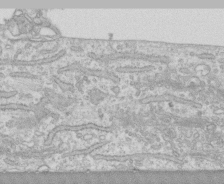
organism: Human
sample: CRL-1474